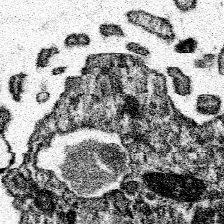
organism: Spongilla lacustris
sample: Neuroid cell